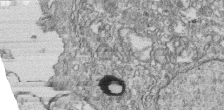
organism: Human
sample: HeLa cell HIV synapse